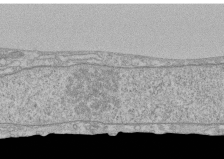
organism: Human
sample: CRL-1474